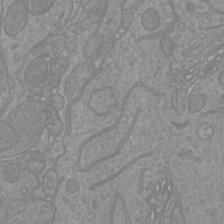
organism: Mouse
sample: Cortical neurons